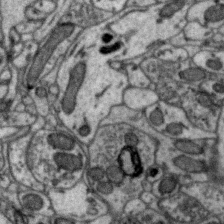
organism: Zebra finch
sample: Brain